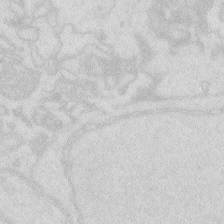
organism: Zebrafish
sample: Macrophage